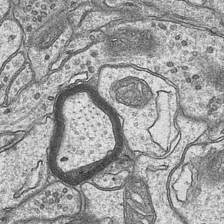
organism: Mouse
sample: CA1 Hippocampus